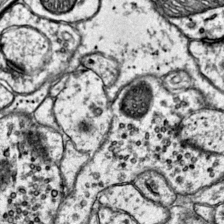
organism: Mouse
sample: Primary visual cortex